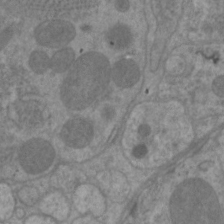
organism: C. elegans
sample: Pharynx